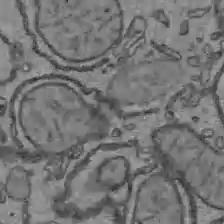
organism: C57BL Mouse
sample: Liver